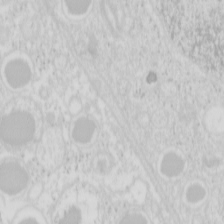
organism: Mouse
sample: Pancreas